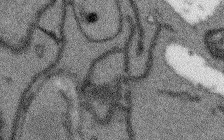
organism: Arabidopsis thaliana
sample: Root tip